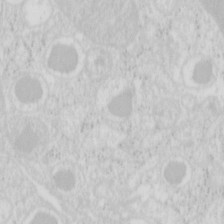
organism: Mouse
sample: Pancreas